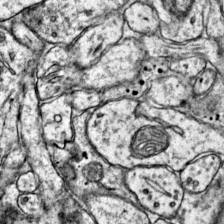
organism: Mouse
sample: Primary visual cortex